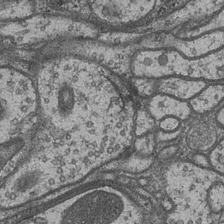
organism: Drosophila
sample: Optic medulla